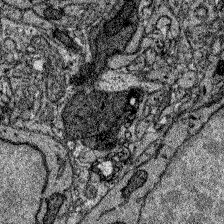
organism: Zebrafish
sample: Larval olfactory bulb